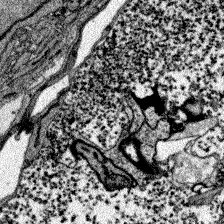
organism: Zebrafish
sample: Larval olfactory bulb